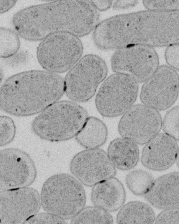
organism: E. coli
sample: Bacterial nucleoid